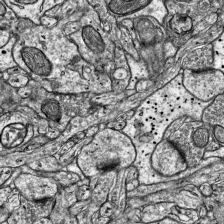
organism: Mouse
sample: Visual Cortex